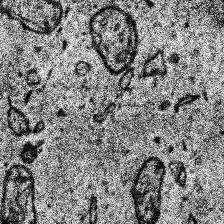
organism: Human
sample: Temporal Lobe